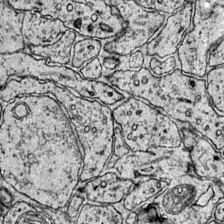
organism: Mouse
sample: Primary visual cortex